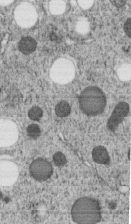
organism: C. elegans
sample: C. elegans embryo early stage